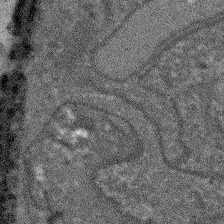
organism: Arabidopsis thaliana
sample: Root tip